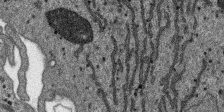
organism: Human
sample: Lung epithelial cells infected with SARS-CoV-2